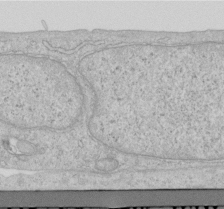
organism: Human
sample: Centriole in RPE cells